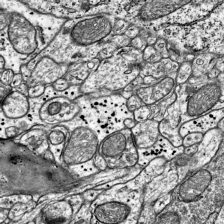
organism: Mouse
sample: Visual Cortex